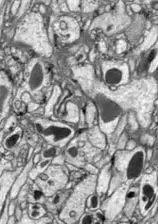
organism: Drosophila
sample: Optic lobe